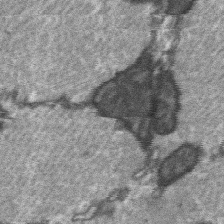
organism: C57BL Mouse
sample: Soleus